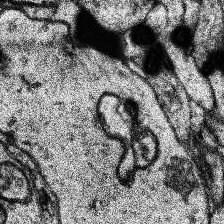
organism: Human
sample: Temporal Lobe